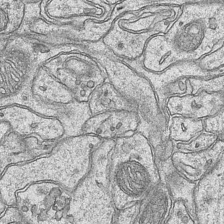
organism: Mouse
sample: CA1 Hippocampus